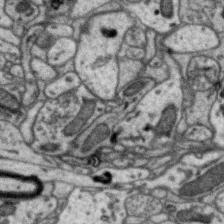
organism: Zebra finch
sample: Brain